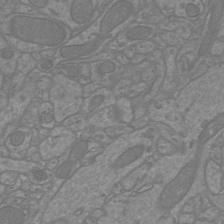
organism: Mouse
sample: Cortical neurons